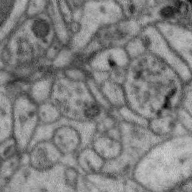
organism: Zebra finch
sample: Brain